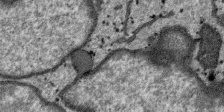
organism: Human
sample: Lung epithelial cells, uninfected (mock) control